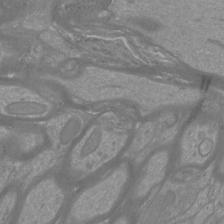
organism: Mouse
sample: Cortical neurons